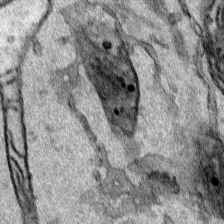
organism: Human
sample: Mitochondria in HCT116 cells